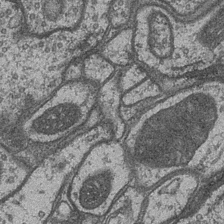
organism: Drosophila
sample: Optic medulla